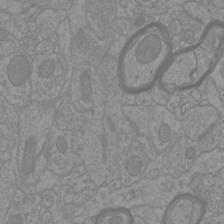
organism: Mouse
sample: Cortical neurons